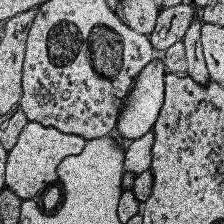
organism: Human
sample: Temporal Lobe